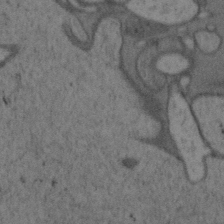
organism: Human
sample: HeLa cells